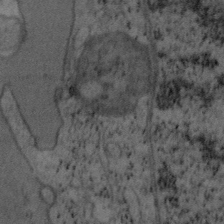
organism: Human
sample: HeLa cells